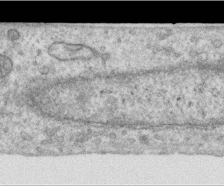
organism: Human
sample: Centriole in RPE cells